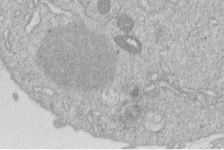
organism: Human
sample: Macrophage cells